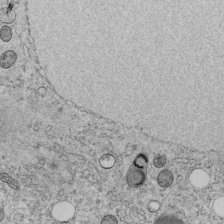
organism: C. elegans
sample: C. elegans embryo early stage